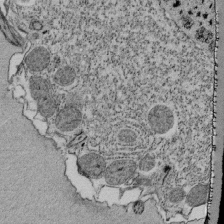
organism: Tetrahymena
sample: Cilia in tetrahymena